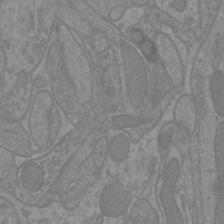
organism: Mouse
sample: Cortical neurons